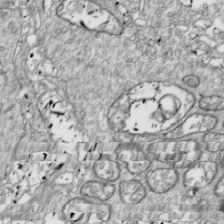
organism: Drosophila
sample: Cell division; meiosis; drosophila spermatocytes